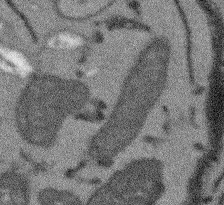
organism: Arabidopsis thaliana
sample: Root tip